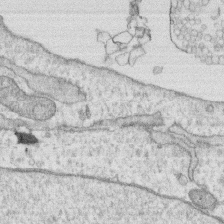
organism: Human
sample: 1205lu cells